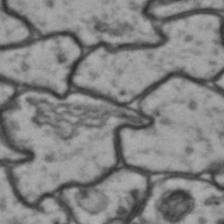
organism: Drosophila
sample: Brain